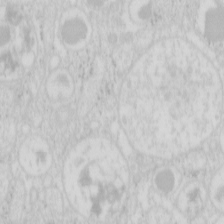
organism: Mouse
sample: Pancreas